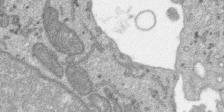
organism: Human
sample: Lung epithelial cells infected with SARS-CoV-2